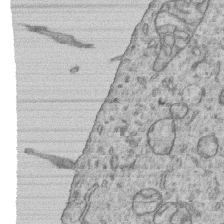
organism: Human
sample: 1205lu cells